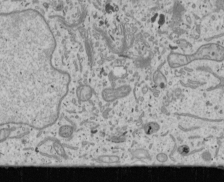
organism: Human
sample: Mitochondria in U2OS cells